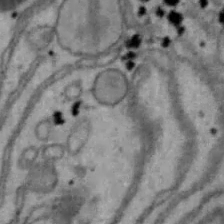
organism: Mouse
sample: Liver